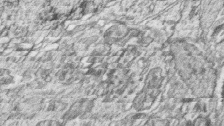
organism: Zebrafish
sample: synaptic ribbons in rod cells and cone cells